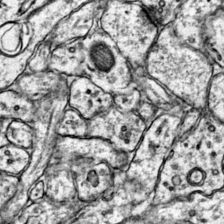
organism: Mouse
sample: Primary visual cortex